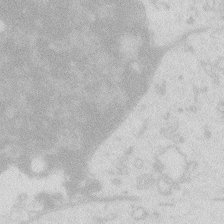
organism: Zebrafish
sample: Macrophage